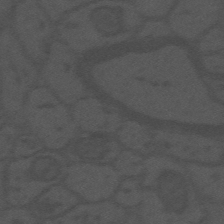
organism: Mouse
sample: Suprachiasmatic nucleus